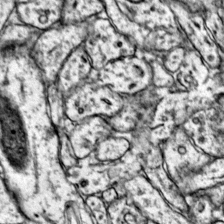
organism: Mouse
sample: Primary visual cortex